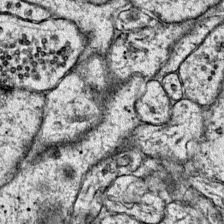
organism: Mouse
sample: Primary visual cortex